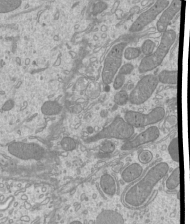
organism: Mouse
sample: Cilia; mouse epididymis